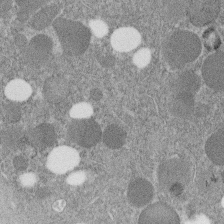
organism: C. elegans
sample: C. elegans embryo early stage